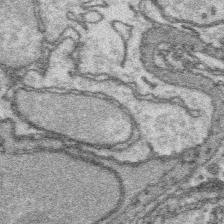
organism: Platynereis dumerilii